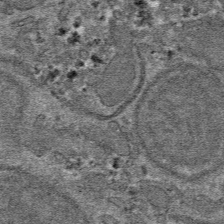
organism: Mouse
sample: Mouse hepatocytes